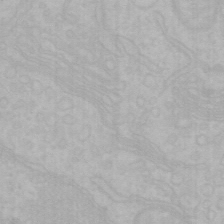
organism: Mouse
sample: Choroid plexus